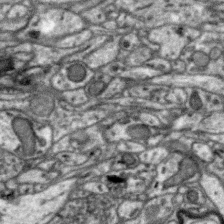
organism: Zebra finch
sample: Brain